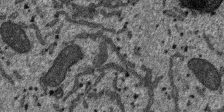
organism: Human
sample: Lung epithelial cells infected with SARS-CoV-2